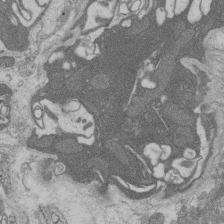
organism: Rat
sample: Salivary granule